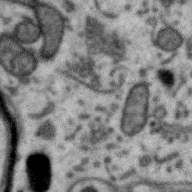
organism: Zebra finch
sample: Brain